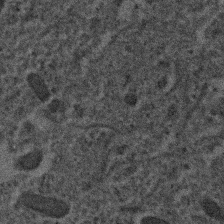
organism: Human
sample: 1205lu cells